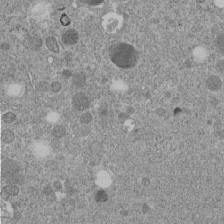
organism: C. elegans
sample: C. elegans embryo early stage